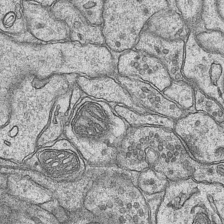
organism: Mouse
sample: CA1 Hippocampus